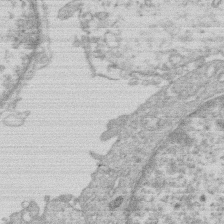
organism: Human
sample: Macrophage cells